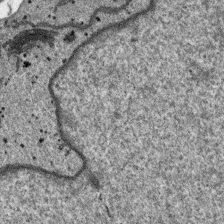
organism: Human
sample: Lung epithelial cells, uninfected (mock) control